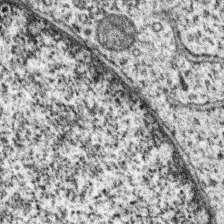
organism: Human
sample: HeLa cells